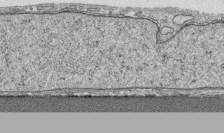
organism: Human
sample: CRL-1474